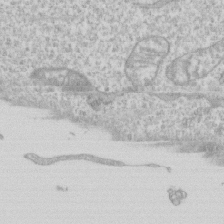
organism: Human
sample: CRL-1474